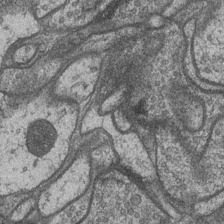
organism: Drosophila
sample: Optic medulla